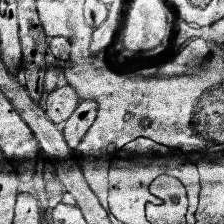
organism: Human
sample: Temporal Lobe